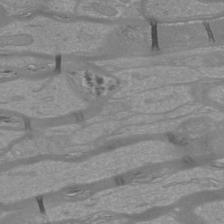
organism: Mouse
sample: Cortical neurons